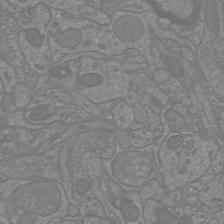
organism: Mouse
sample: Cortical neurons